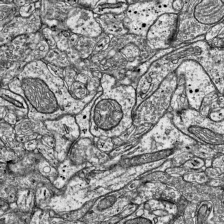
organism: Mouse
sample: Visual Cortex